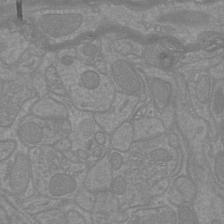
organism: Mouse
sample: Cortical neurons